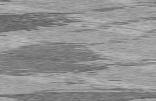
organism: C57BL Mouse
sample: Heart